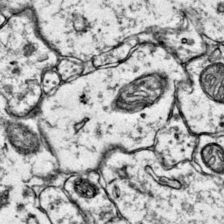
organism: Mouse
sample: Primary visual cortex